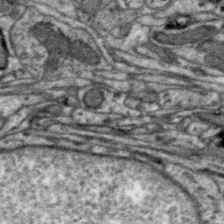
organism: Zebra finch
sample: Brain